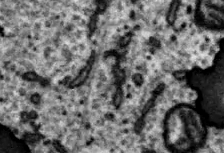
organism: Human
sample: HeLa cells